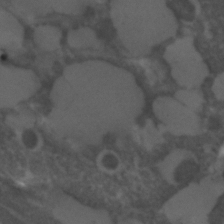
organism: C. elegans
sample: C. elegans embryo